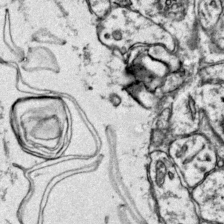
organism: Mouse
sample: Primary visual cortex